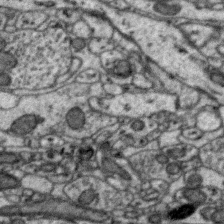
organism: Zebra finch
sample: Brain